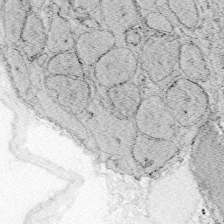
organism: Zebrafish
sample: Whole-Brain